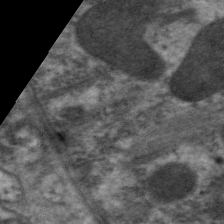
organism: C. elegans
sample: Pharynx